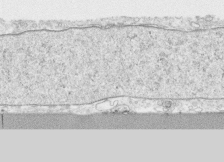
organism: Human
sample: CRL-1474